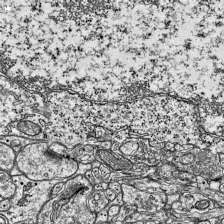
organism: Mouse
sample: Visual Cortex